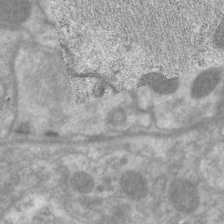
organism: C. elegans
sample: Pharynx